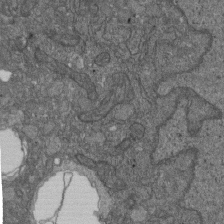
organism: Drosophila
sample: Nephrocyte